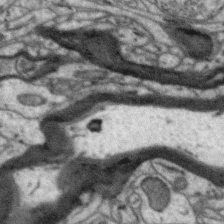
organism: Zebra finch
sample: Brain